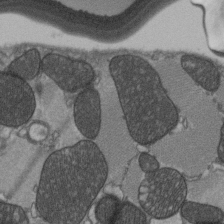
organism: C57BL Mouse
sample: Heart